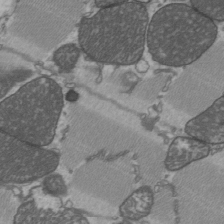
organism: C57BL Mouse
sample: Heart